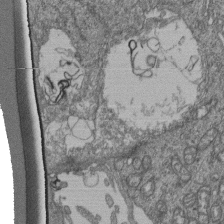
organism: Human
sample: Retinal organoid Rod and Cone cells